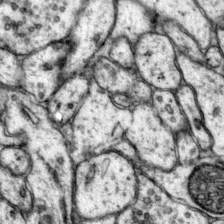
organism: Mouse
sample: Primary visual cortex